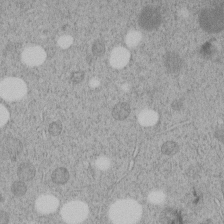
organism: C. elegans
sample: C. elegans embryo early stage